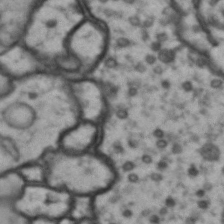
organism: Drosophila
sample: Brain